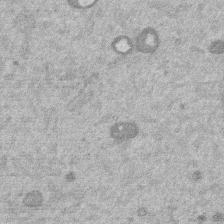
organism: Mouse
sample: Dividing mouse embryo 1 cell stage